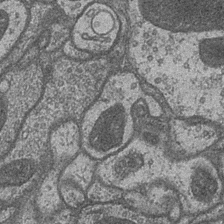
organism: Drosophila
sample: Optic medulla